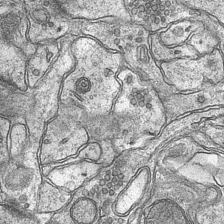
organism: Mouse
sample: CA1 Hippocampus